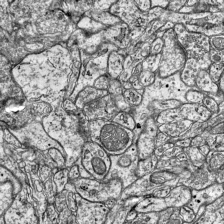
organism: Mouse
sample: Visual Cortex